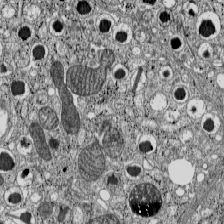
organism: C57BL Mouse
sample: Pancreatic islet